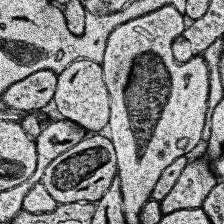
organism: Human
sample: Temporal Lobe